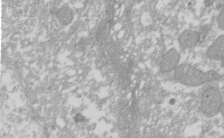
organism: Xenopus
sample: Cilia; centrioles in frog embryo cells